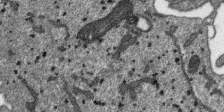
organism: Human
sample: Lung epithelial cells infected with SARS-CoV-2